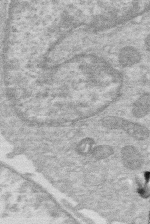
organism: Human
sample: Macrophage cells